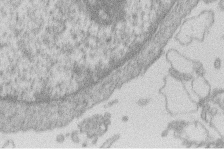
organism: Human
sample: Macrophage cells